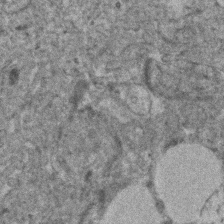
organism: Human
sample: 1205lu cells